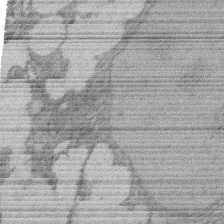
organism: Rat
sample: Salivary granule